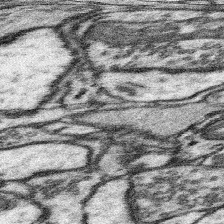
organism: Mouse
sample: Somatosensory cortex neuropil